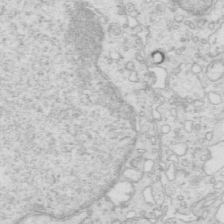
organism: Mouse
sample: Multiciliated cells